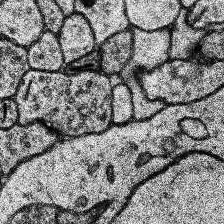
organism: Human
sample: Temporal Lobe